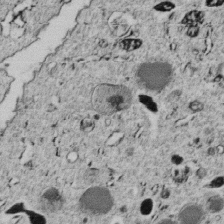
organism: C. elegans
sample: C. elegans embryo early stage